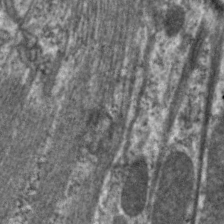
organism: C. elegans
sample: Pharynx